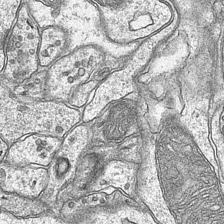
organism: Mouse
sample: CA1 Hippocampus